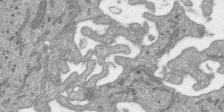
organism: Human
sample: Lung epithelial cells infected with SARS-CoV-2